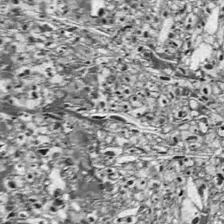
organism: Drosophila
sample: Optic lobe